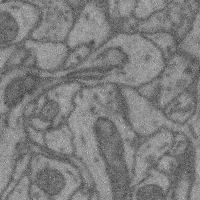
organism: Mouse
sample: Cerebral cortex